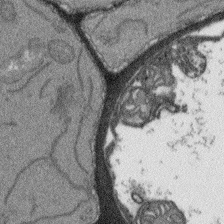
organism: Arabidopsis thaliana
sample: Root tip